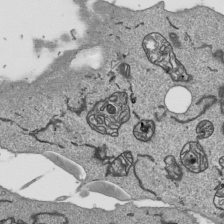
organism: Human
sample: Mitochondria in HCT116 cells